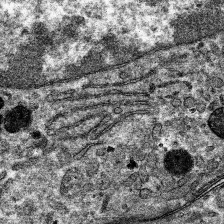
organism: Mouse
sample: Mouse hepatocytes